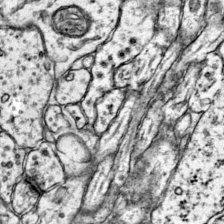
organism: Mouse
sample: Primary visual cortex